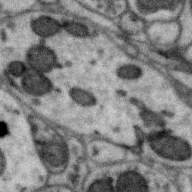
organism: Zebra finch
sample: Brain